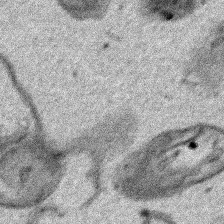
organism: Human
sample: Mitochondria in HCT116 cells